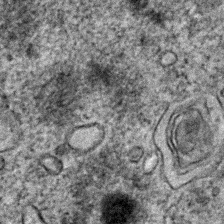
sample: Trachea